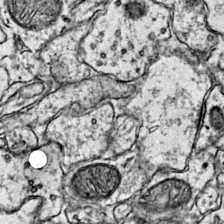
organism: Mouse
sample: Primary visual cortex